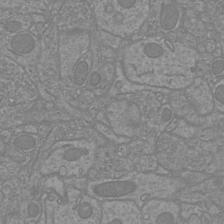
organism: Mouse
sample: Cortical neurons